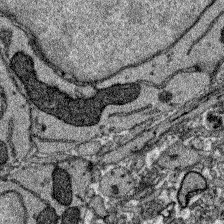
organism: Zebrafish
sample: Larval olfactory bulb